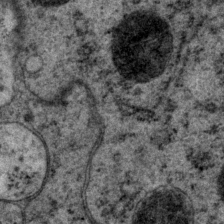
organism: P. pacificus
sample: Pharynx